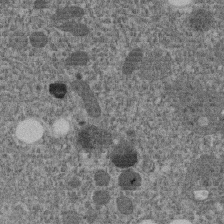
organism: C. elegans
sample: C. elegans embryo early stage